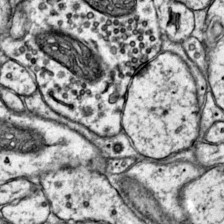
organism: Mouse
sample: Primary visual cortex